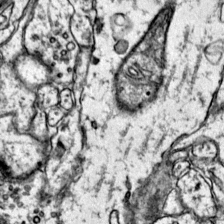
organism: Mouse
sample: Primary visual cortex